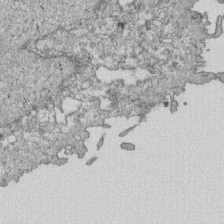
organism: Human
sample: HeLa cell HIV synapse